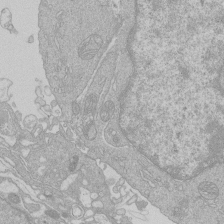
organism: Human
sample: Macrophage cells